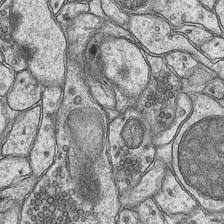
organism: Mouse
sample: CA1 Hippocampus